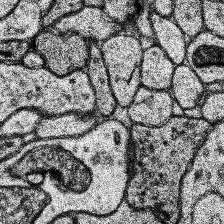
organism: Human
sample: Temporal Lobe